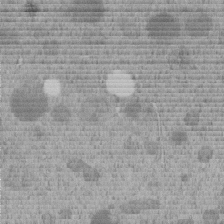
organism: C. elegans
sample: C. elegans embryo early stage